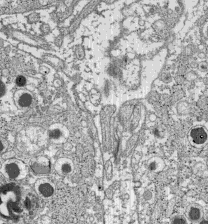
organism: C57BL Mouse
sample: Pancreatic islet